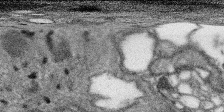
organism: Human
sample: Lung epithelial cells infected with SARS-CoV-2